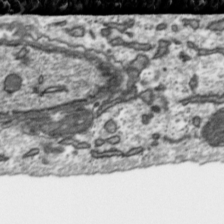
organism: Toxoplasma gondii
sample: Parasites in a vacuole inside a host cell